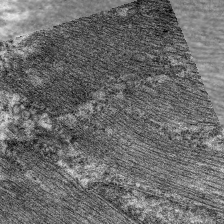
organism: C. elegans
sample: Pharynx